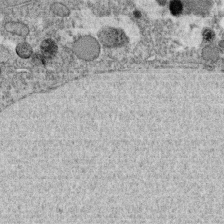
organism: C. elegans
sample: C. elegans oocyte; sperm cells